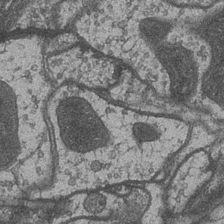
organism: Drosophila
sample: Optic medulla